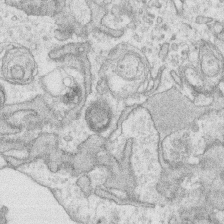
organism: Human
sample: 1205lu cells